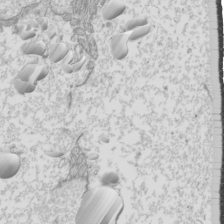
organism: Mouse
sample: Cilia; mouse epididymis